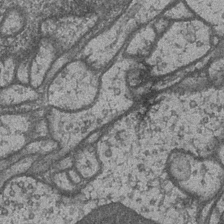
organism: Drosophila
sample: Optic medulla